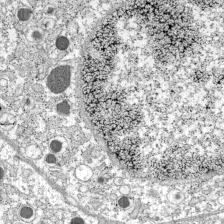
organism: C57BL Mouse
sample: Pancreatic islet